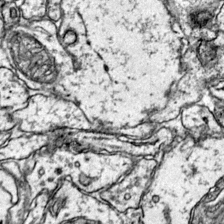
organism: Mouse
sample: Primary visual cortex